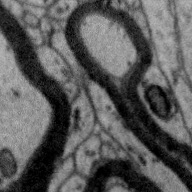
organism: Zebra finch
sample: Brain